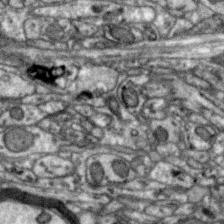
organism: Zebra finch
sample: Brain